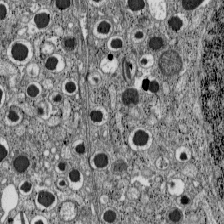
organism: C57BL Mouse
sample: Pancreatic islet